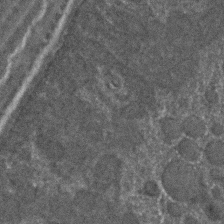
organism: C. elegans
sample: C. elegans embryo